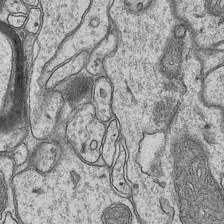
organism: Mouse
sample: CA1 Hippocampus